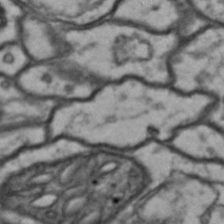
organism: Drosophila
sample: Brain